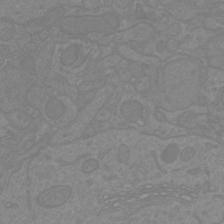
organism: Mouse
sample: Cortical neurons